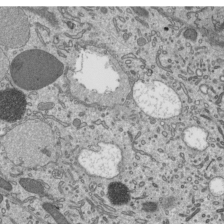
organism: Mouse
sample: Mouse epididymis efferent ductule cilia